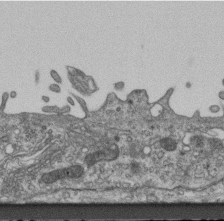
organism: Mouse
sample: Centriole in ependymal cells